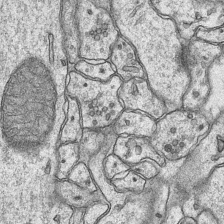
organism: Mouse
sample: CA1 Hippocampus